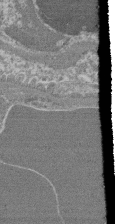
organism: Mouse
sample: Glomerulus